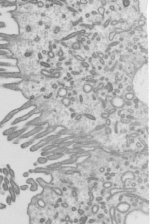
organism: Mouse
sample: Mouse epididymis efferent ductule cilia